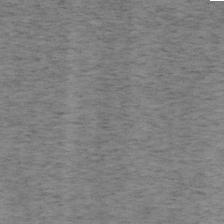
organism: Mouse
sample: OT-I killer T cells with ID8 ovarian cancer cells